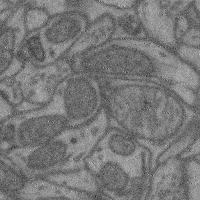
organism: Mouse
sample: Cerebral cortex